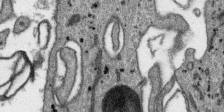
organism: Human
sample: Lung epithelial cells, uninfected (mock) control